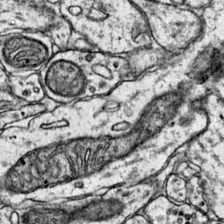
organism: Mouse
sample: Primary visual cortex